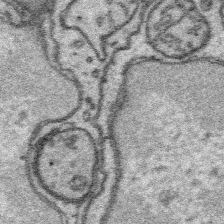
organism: Platynereis dumerilii